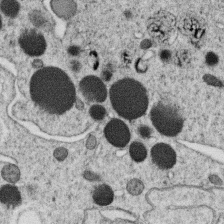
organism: C. elegans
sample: C. elegans oocyte; sperm cells